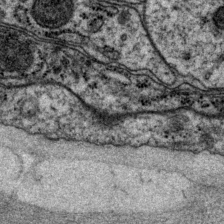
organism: P. pacificus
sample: Pharynx